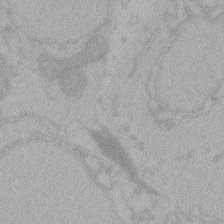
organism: Zebrafish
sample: Macrophage infected with Toxoplasma gondii